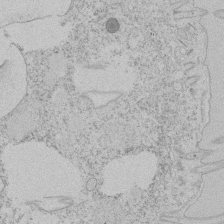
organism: Tetrahymena